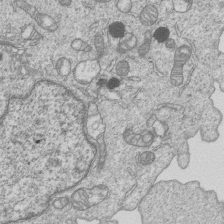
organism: Human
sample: MDA-MB-231 cells